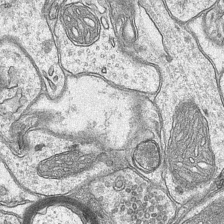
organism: Mouse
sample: CA1 Hippocampus